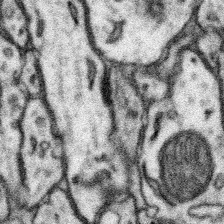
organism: Mouse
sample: Somatosensory cortex neuropil